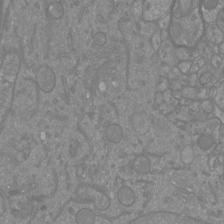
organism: Mouse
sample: Cortical neurons